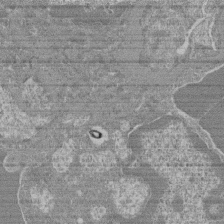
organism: Mouse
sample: Glomerulus